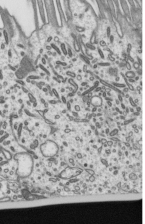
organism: Mouse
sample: Mouse epididymis efferent ductule cilia